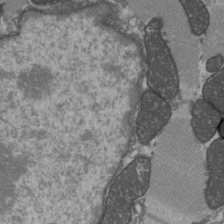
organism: C57BL Mouse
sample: Heart